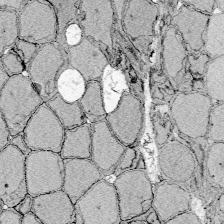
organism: Zebrafish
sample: Whole-Brain